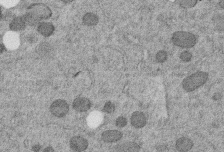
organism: C. elegans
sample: C. elegans embryo early stage